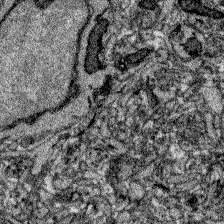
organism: Zebrafish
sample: Larval olfactory bulb